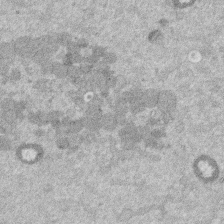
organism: Mouse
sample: Dividing mouse embryo 1 cell stage